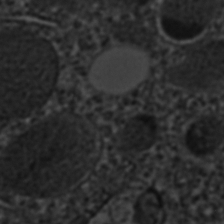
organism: C. elegans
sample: C. elegans embryo